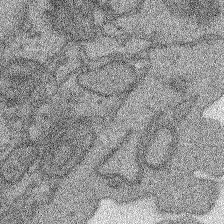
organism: Human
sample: HeLa cells